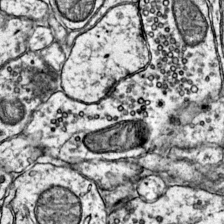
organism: Mouse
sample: Primary visual cortex